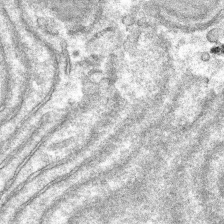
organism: Mouse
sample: Mouse hepatocytes